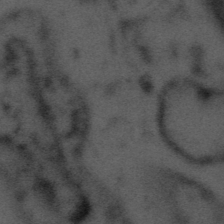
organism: Tuwongella immobilis